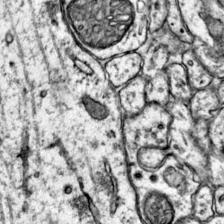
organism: Mouse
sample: Primary visual cortex